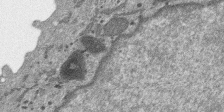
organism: Human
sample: Lung epithelial cells infected with SARS-CoV-2